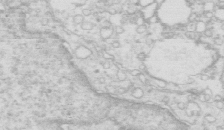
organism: Mouse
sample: Multiciliated cells